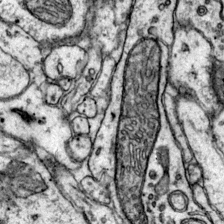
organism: Mouse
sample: Primary visual cortex